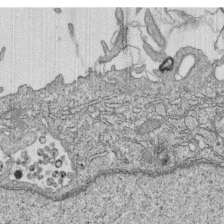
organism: Human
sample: HeLa cell HIV synapse